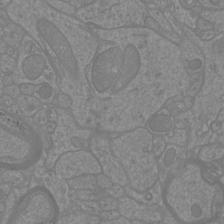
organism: Mouse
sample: Cortical neurons